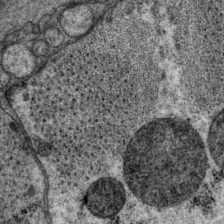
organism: P. pacificus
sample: Pharynx